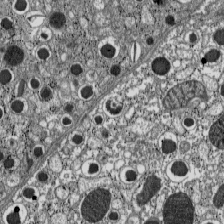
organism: C57BL Mouse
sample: Pancreatic islet